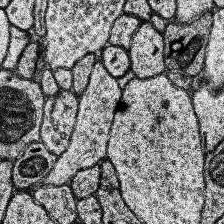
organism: Human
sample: Temporal Lobe